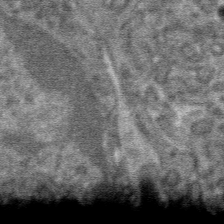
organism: Mouse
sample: Mouse hepatocytes